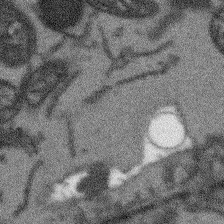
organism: Arabidopsis thaliana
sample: Root tip